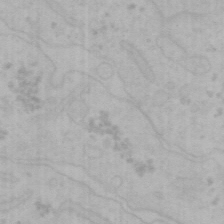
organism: Mouse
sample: Choroid plexus